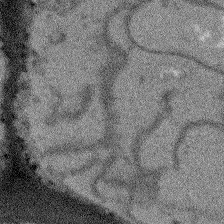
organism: Arabidopsis thaliana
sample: Root tip